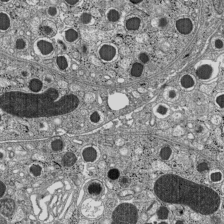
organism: C57BL Mouse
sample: Pancreatic islet